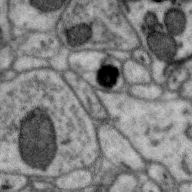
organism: Zebra finch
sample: Brain